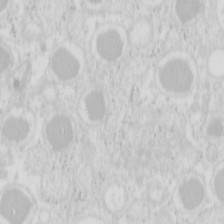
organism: Mouse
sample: Pancreas